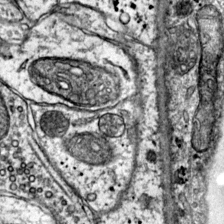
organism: Mouse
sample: Primary visual cortex